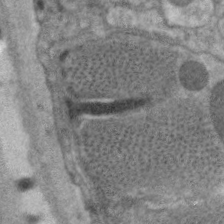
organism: C. elegans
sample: Pharynx